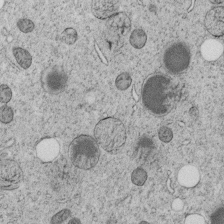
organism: C. elegans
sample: C. elegans embryo early stage